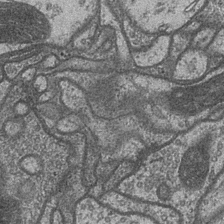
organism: Drosophila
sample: Optic medulla